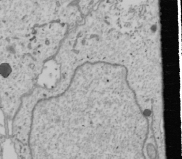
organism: Human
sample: Mitochondria in U2OS cells